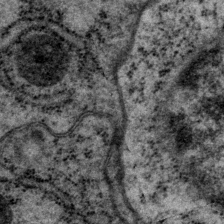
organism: P. pacificus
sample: Pharynx